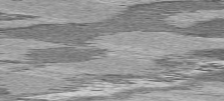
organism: C57BL Mouse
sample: Heart